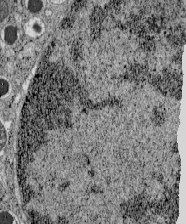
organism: C57BL Mouse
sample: Pancreatic islet